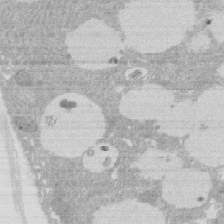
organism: Rat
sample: Salivary granule